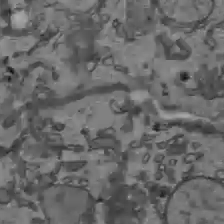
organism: C57BL Mouse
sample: Liver